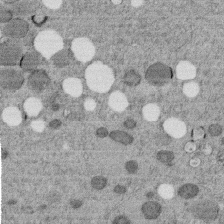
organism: C. elegans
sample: C. elegans embryo early stage